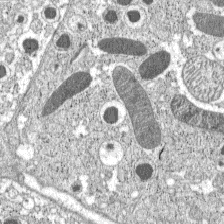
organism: C57BL Mouse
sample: Pancreatic islet